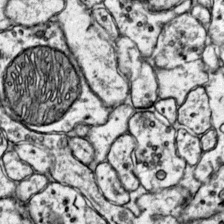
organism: Mouse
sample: Primary visual cortex